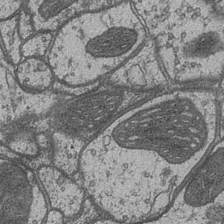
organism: Drosophila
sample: Optic medulla